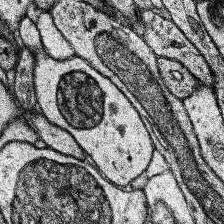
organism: Human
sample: Temporal Lobe